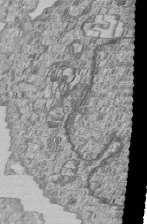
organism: Human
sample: MDA-MB-231 cells